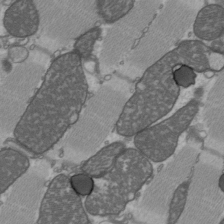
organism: C57BL Mouse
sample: Heart